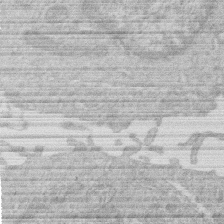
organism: Human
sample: Macrophage cells